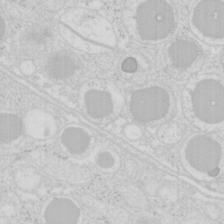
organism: Mouse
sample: Pancreas